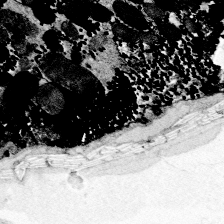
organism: Zebrafish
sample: Whole-Brain